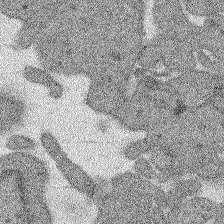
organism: Human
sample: HeLa cells